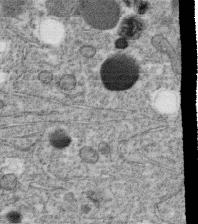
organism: C. elegans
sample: C. elegans oocyte; sperm cells